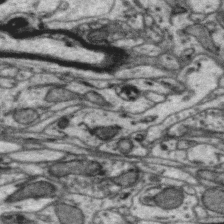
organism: Zebra finch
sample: Brain